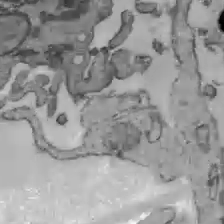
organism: C57BL Mouse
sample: Liver